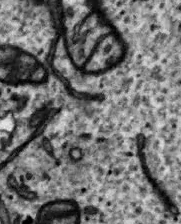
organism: Human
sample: HeLa cells